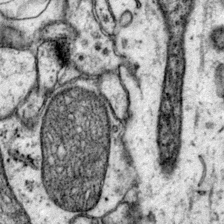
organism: Mouse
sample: Primary visual cortex